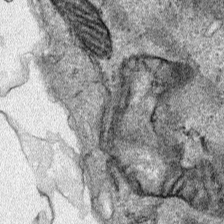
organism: Human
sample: Mitochondria in HCT116 cells